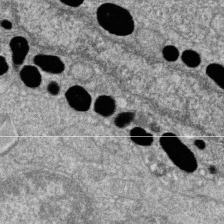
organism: Zebrafish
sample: Cilia; retinal pigment epithelium